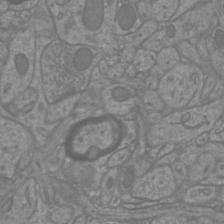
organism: Mouse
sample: Cortical neurons